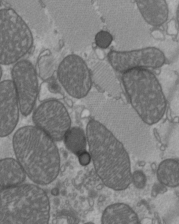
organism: C57BL Mouse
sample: Heart